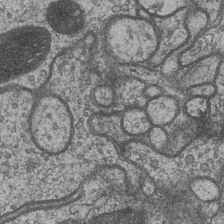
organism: Drosophila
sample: Optic medulla